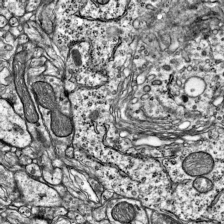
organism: Mouse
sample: Visual Cortex